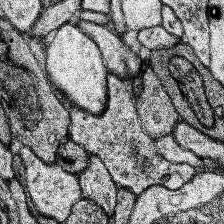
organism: Human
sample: Temporal Lobe